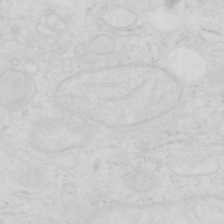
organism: Human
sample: SUM-159 cell